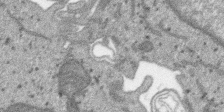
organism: Human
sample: Lung epithelial cells infected with SARS-CoV-2